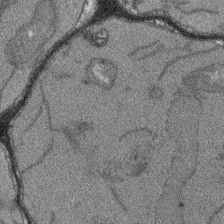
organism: Arabidopsis thaliana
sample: Root tip